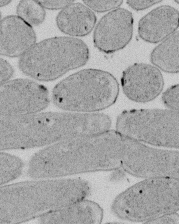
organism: E. coli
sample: Bacterial nucleoid